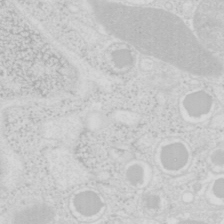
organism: Mouse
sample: Pancreas